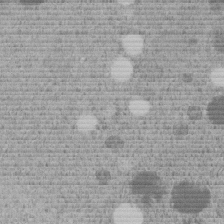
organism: C. elegans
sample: C. elegans embryo early stage